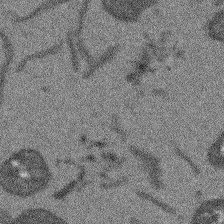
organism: Arabidopsis thaliana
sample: Root tip